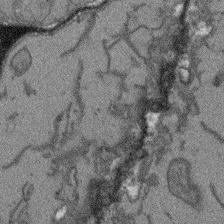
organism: Arabidopsis thaliana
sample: Root tip